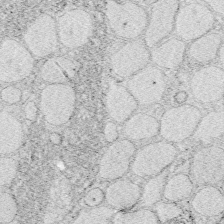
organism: Zebrafish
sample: Whole-Brain